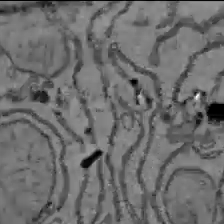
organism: C57BL Mouse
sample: Liver